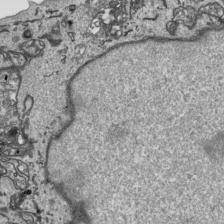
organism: Human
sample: Mitochondria in HCT116 cells